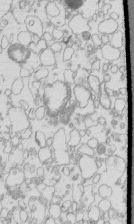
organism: Mouse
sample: Macrophages